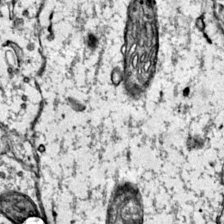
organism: Mouse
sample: Primary visual cortex